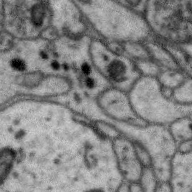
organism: Zebra finch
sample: Brain